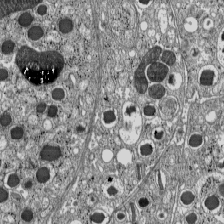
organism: C57BL Mouse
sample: Pancreatic islet